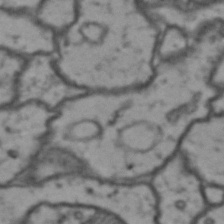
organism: Drosophila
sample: Brain